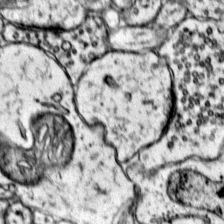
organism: Mouse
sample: Primary visual cortex